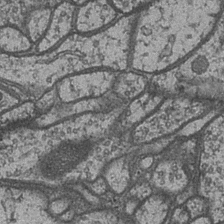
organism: Drosophila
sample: Optic medulla